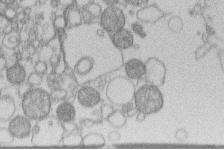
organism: Human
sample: Macrophage cells